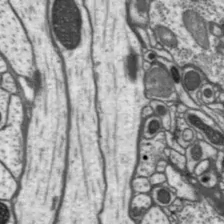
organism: Drosophila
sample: Protocerebral bridge